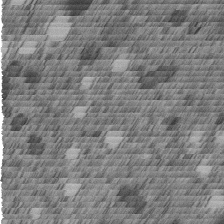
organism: C. elegans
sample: C. elegans embryo early stage